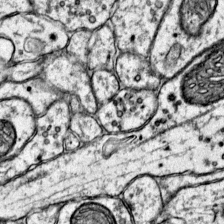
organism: Mouse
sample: Primary visual cortex